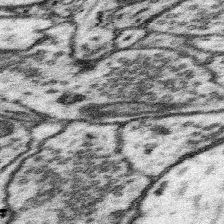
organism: Mouse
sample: Somatosensory cortex neuropil